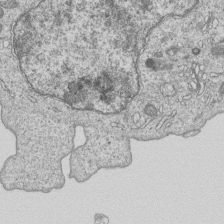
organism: Human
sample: MDA-MB-231 cells